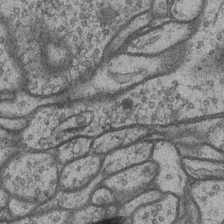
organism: Drosophila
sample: Optic medulla